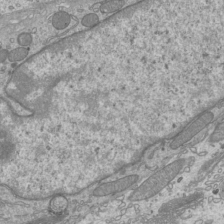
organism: Mouse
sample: Cilia; mouse epididymis